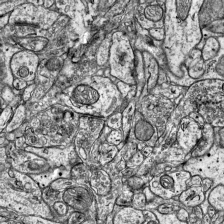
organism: Mouse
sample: Visual Cortex